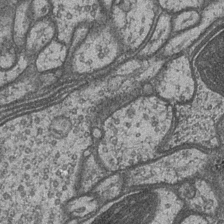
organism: Drosophila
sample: Optic medulla